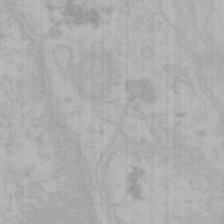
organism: Mouse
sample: Choroid plexus